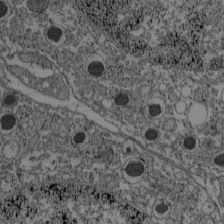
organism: C57BL Mouse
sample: Pancreatic islet